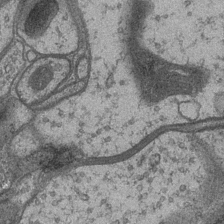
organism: Drosophila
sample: Optic medulla